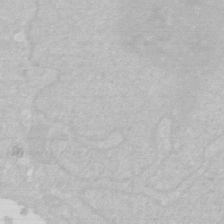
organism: Human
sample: HIV infected U937 cells